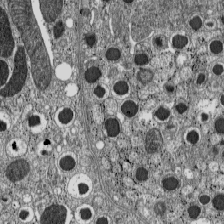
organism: C57BL Mouse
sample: Pancreatic islet